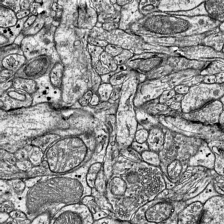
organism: Mouse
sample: Visual Cortex